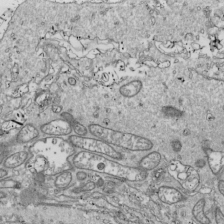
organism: Drosophila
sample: Cell division; meiosis; drosophila spermatocytes